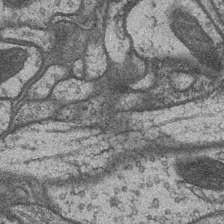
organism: Drosophila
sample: Optic medulla